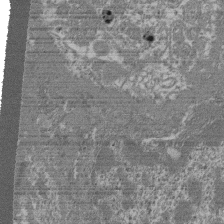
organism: Mouse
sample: Glomerulus